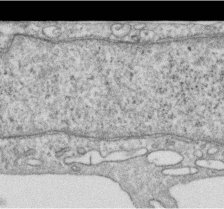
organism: Human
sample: Centriole in RPE cells